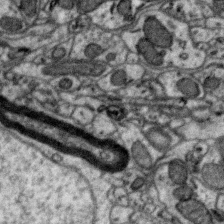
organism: Zebra finch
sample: Brain